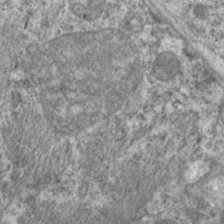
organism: C. elegans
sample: Pharynx